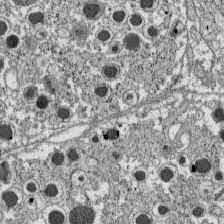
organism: C57BL Mouse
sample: Pancreatic islet